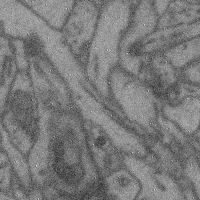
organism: Mouse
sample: Cerebral cortex